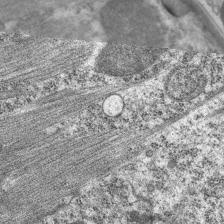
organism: C. elegans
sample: Pharynx